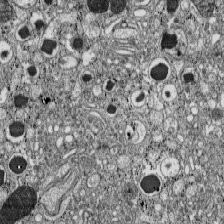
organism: C57BL Mouse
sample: Pancreatic islet